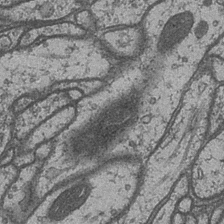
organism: Drosophila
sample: Optic medulla